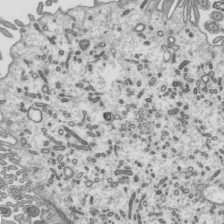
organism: Mouse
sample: Mouse epididymis efferent ductule cilia